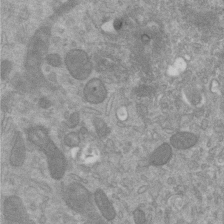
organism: Mouse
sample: ED-1 cell nuclei; centrioles